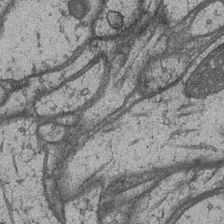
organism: Drosophila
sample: Optic medulla